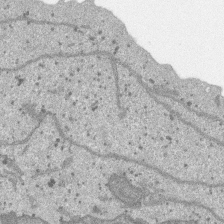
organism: Human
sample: Lung epithelial cells infected with SARS-CoV-2